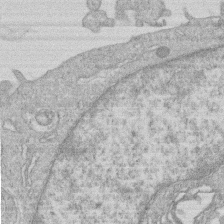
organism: Human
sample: Macrophage cells